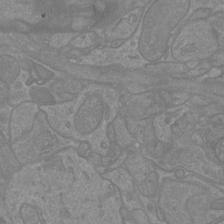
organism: Mouse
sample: Cortical neurons